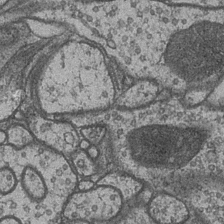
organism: Drosophila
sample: Optic medulla